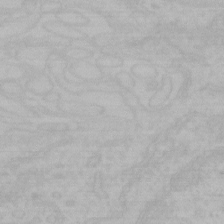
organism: Mouse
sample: Choroid plexus